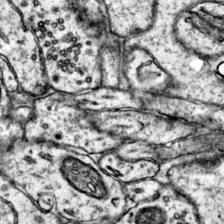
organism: Mouse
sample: Primary visual cortex